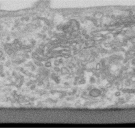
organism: Human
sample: Centriole in RPE cells